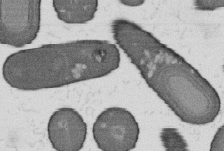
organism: B. subtilis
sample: Bacterial spore